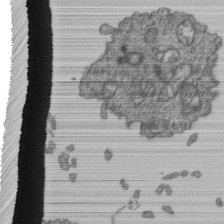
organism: Human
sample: Retinal organoid Rod and Cone cells